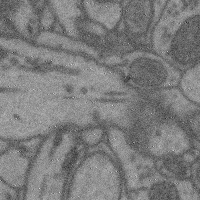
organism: Mouse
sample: Cerebral cortex